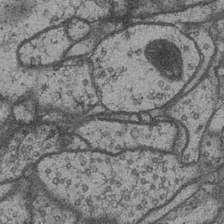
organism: Drosophila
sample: Optic medulla